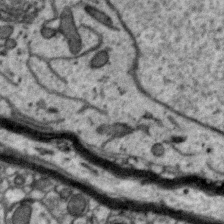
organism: Zebra finch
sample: Brain